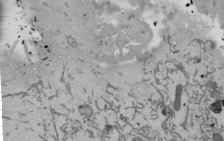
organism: Mouse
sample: ED-1 cell nuclei; centrioles